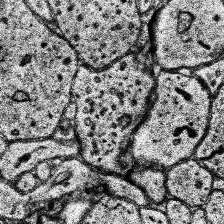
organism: Human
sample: Temporal Lobe